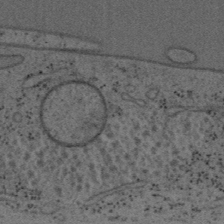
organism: Human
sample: HeLa cells